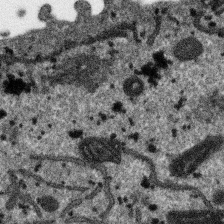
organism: Human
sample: Lung epithelial cells infected with SARS-CoV-2